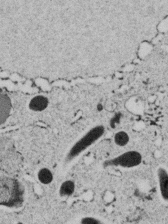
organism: C. elegans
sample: C. elegans embryo early stage